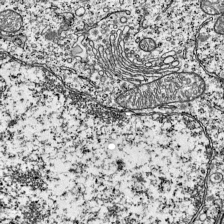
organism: Mouse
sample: Visual Cortex